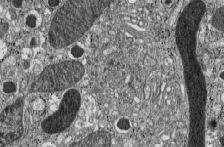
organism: C57BL Mouse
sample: Pancreatic islet